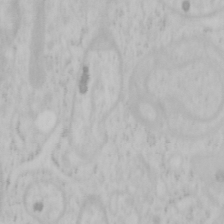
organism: Mouse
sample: OT-I killer T cells with ID8 ovarian cancer cells